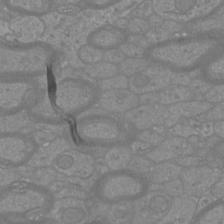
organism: Mouse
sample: Cortical neurons